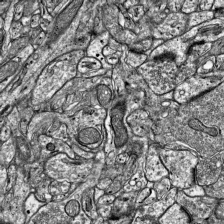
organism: Mouse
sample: Visual Cortex